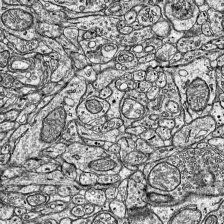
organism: Mouse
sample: Visual Cortex